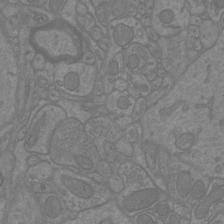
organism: Mouse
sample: Cortical neurons